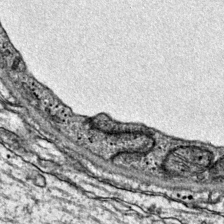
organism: Mouse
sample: Primary visual cortex